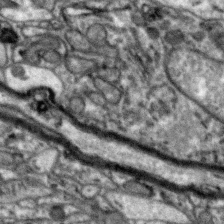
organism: Zebra finch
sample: Brain